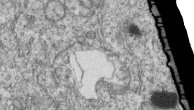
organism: Human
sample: HeLa cell HIV synapse